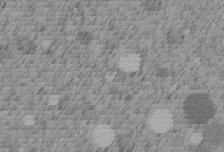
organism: C. elegans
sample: C. elegans embryo early stage